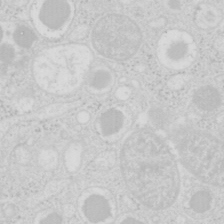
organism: Mouse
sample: Pancreas